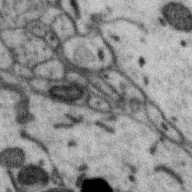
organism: Zebra finch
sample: Brain